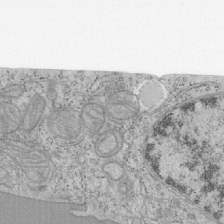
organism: Human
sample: HeLa cells